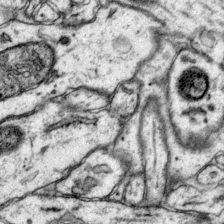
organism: Mouse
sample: Primary visual cortex